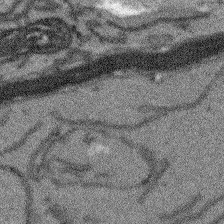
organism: Arabidopsis thaliana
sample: Root tip